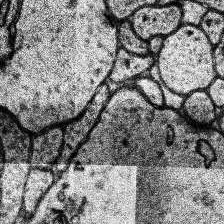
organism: Human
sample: Temporal Lobe